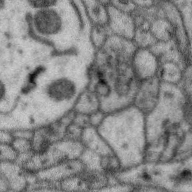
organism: Zebra finch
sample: Brain